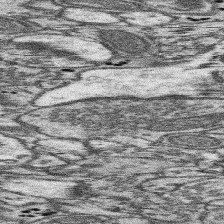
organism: Mouse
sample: Somatosensory cortex neuropil